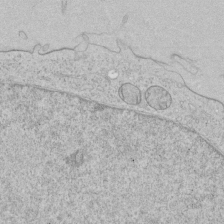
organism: Human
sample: Mitochondria in HCT116 cells